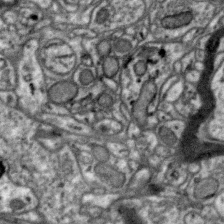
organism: Zebra finch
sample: Brain